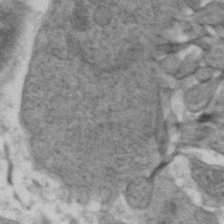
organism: Zebrafish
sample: Zebrafish embryo